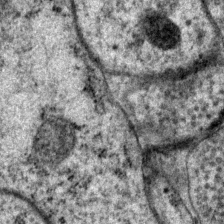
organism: P. pacificus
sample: Pharynx